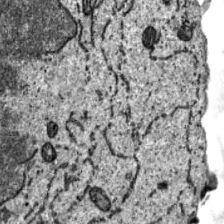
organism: Human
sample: HeLa cells